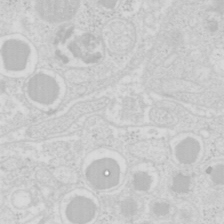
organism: Mouse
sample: Pancreas